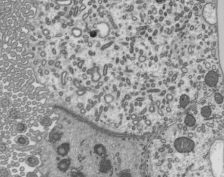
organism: Mouse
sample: Mouse epididymis efferent ductule cilia